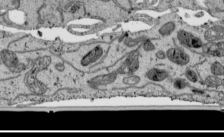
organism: Human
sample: Mitochondria in HCT116 cells